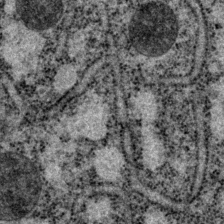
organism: P. pacificus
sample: Pharynx